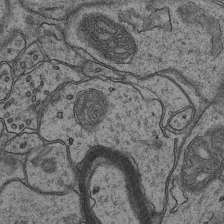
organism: Mouse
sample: CA1 Hippocampus